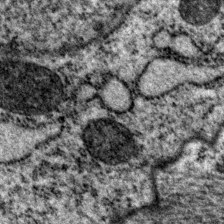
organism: P. pacificus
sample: Pharynx